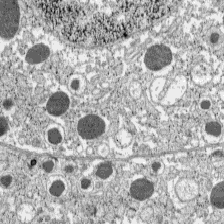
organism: C57BL Mouse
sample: Pancreatic islet